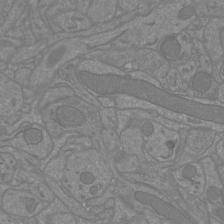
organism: Mouse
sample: Cortical neurons